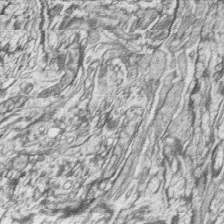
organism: Zebrafish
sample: synaptic ribbons in rod cells and cone cells